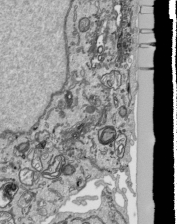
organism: Human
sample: Mitochondria in HCT116 cells